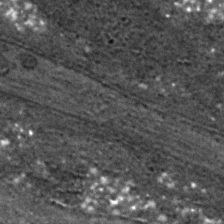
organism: C. elegans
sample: C. elegans embryo